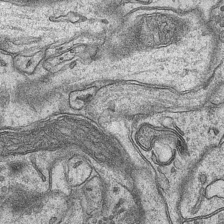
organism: Mouse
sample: CA1 Hippocampus